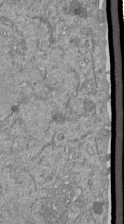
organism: Mouse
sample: ED-1 cell nuclei; centrioles